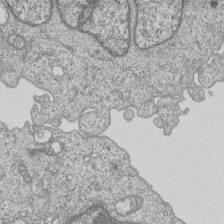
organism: Human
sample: MDA-MB-231 cells